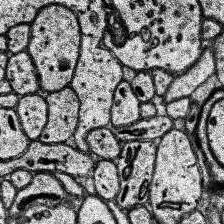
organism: Human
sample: Temporal Lobe